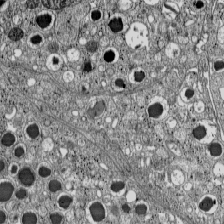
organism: C57BL Mouse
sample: Pancreatic islet